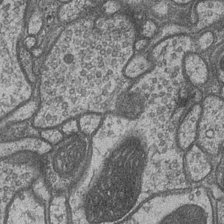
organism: Drosophila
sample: Optic medulla